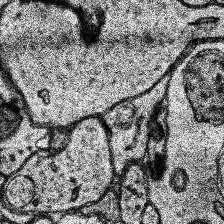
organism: Human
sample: Temporal Lobe